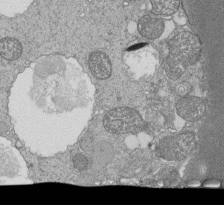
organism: Tetrahymena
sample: Cilia in tetrahymena